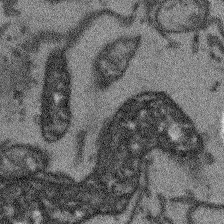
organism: Arabidopsis thaliana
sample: Root tip